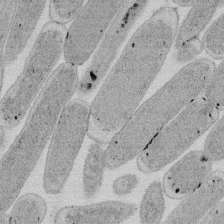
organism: E. coli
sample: Bacterial nucleoid